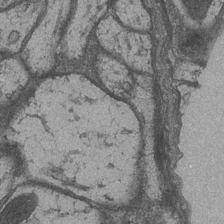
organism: Drosophila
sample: Optic medulla